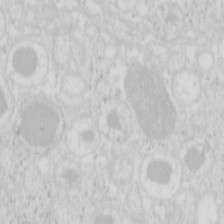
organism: Mouse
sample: Pancreas